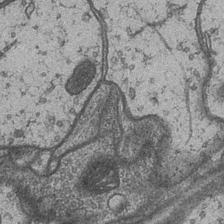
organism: Drosophila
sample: Optic medulla